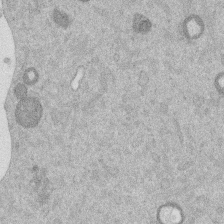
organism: Mouse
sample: Dividing mouse embryo 1 cell stage